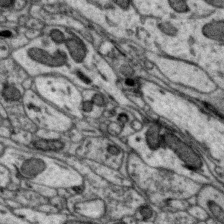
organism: Zebra finch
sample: Brain